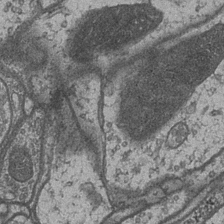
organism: Drosophila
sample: Optic medulla